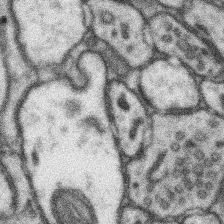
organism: Mouse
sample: Somatosensory cortex neuropil